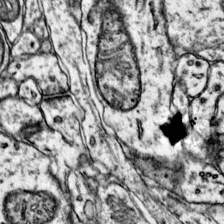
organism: Mouse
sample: Primary visual cortex